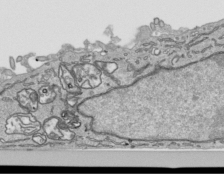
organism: Human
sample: Mitochondria in HCT116 cells